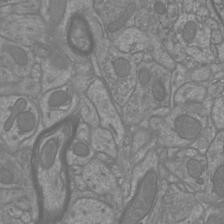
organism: Mouse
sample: Cortical neurons